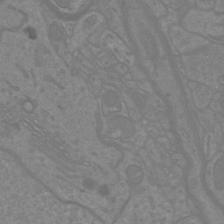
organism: Mouse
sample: Cortical neurons